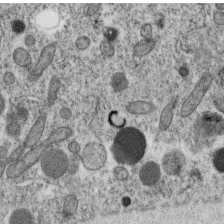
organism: C. elegans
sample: C. elegans oocyte; sperm cells